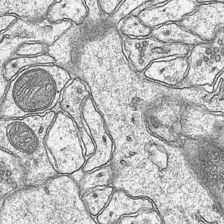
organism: Mouse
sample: CA1 Hippocampus